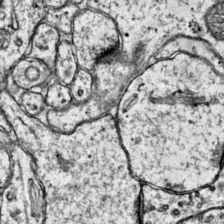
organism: Mouse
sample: Primary visual cortex